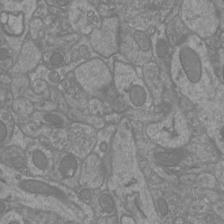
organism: Mouse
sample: Cortical neurons